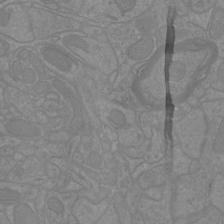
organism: Mouse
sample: Cortical neurons